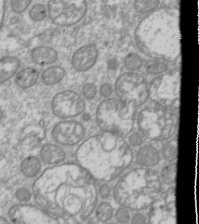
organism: Drosophila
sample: Cell division; meiosis; drosophila spermatocytes